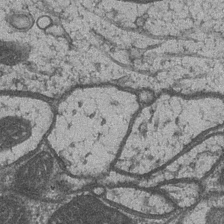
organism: Drosophila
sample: Optic medulla